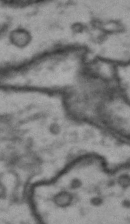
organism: Drosophila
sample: Brain